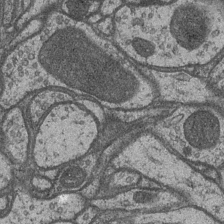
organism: Drosophila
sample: Optic medulla